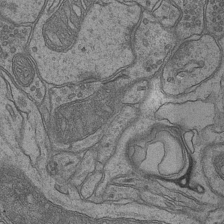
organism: Mouse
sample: CA1 Hippocampus